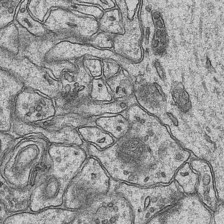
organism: Mouse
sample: CA1 Hippocampus